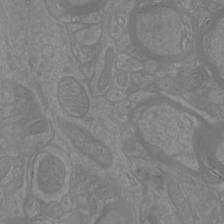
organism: Mouse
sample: Cortical neurons